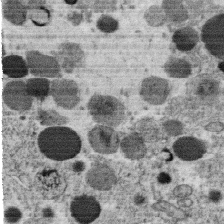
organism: C. elegans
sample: C. elegans oocyte; sperm cells